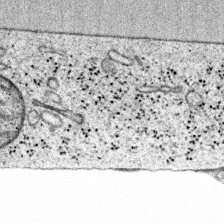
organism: Human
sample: HeLa cells